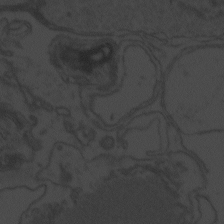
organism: Zebrafish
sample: Macrophage infected with Toxoplasma gondii